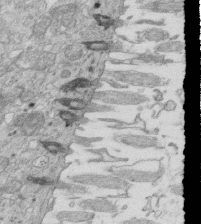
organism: Mouse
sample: Multiciliated cells